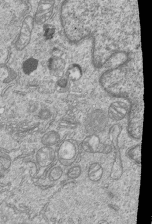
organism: Human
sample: MDA-MB-231 cells